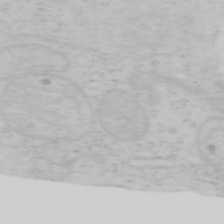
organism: Mouse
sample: OT-I killer T cells with ID8 ovarian cancer cells